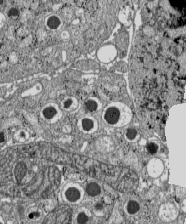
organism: C57BL Mouse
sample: Pancreatic islet